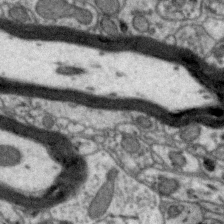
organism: Zebra finch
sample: Brain